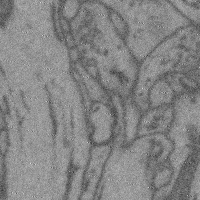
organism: Mouse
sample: Cerebral cortex